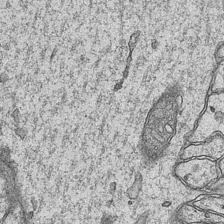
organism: Mouse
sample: CA1 Hippocampus